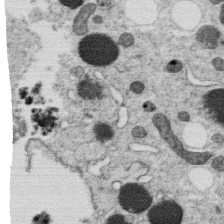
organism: C. elegans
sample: C. elegans oocyte; sperm cells